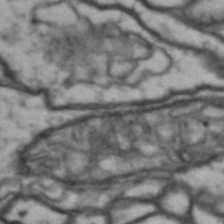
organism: Drosophila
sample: Brain